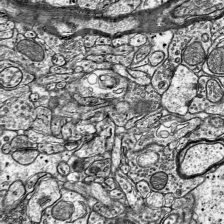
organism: Mouse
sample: Visual Cortex